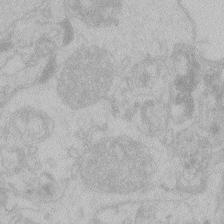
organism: Zebrafish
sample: Macrophage infected with Toxoplasma gondii